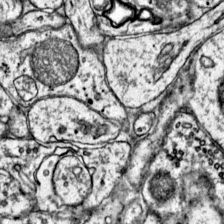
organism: Mouse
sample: Primary visual cortex